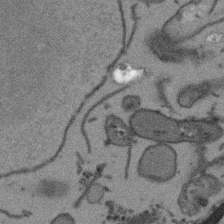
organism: Arabidopsis thaliana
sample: Root tip